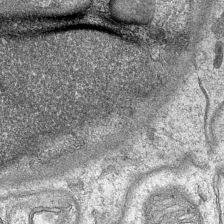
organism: Mouse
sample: CA1 Hippocampus